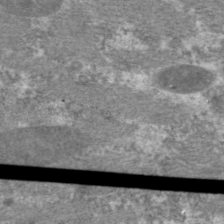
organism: C. elegans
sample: Pharynx